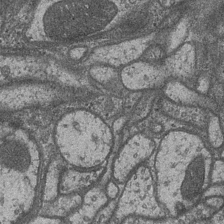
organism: Drosophila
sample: Optic medulla